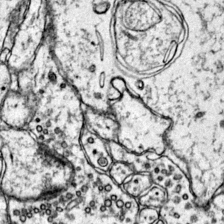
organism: Mouse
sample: Primary visual cortex